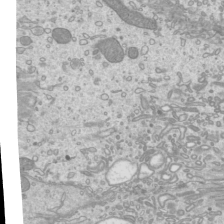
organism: Mouse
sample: Cilia; mouse epididymis